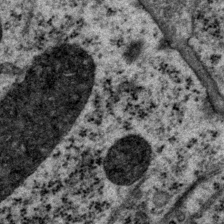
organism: P. pacificus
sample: Pharynx